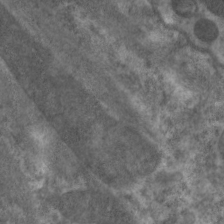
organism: C. elegans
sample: Pharynx